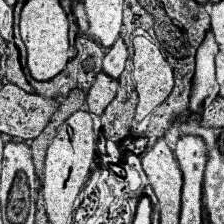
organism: Human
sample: Temporal Lobe